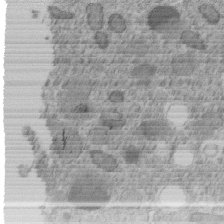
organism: C. elegans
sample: C. elegans embryo early stage